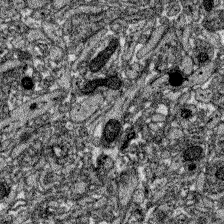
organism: Zebrafish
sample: Larval olfactory bulb